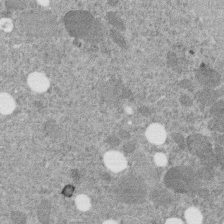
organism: C. elegans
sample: C. elegans embryo early stage